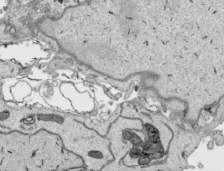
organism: Human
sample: Mitochondria in HCT116 cells